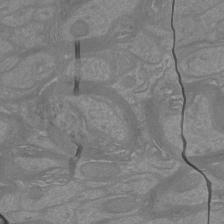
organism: Mouse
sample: Cortical neurons